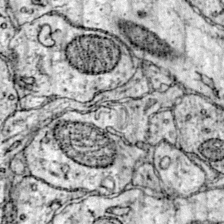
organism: Mouse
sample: Primary visual cortex